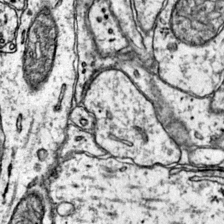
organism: Mouse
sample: Primary visual cortex